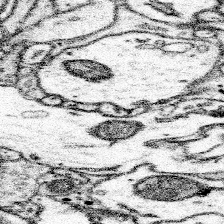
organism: Mouse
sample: Somatosensory cortex neuropil